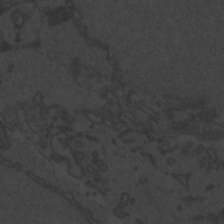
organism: Zebrafish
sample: Macrophage infected with Toxoplasma gondii